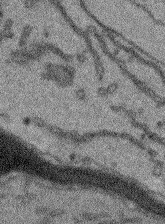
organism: Arabidopsis thaliana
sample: Root tip